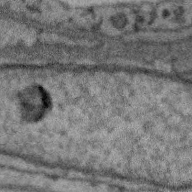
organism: Zebra finch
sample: Brain